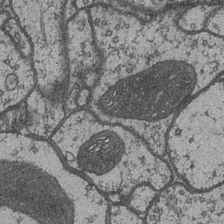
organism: Drosophila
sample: Optic medulla